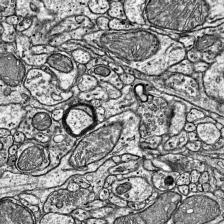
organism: Mouse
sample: Visual Cortex